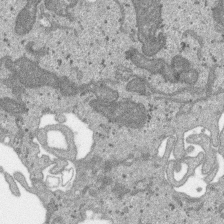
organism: Human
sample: Lung epithelial cells infected with SARS-CoV-2